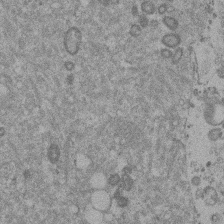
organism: Mouse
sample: Dividing mouse embryo 1 cell stage